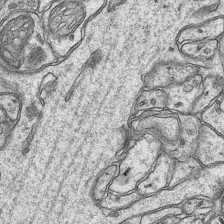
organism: Mouse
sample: CA1 Hippocampus